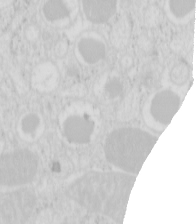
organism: Mouse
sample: Pancreas